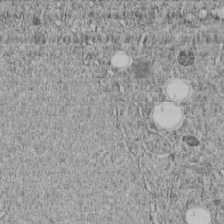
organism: C. elegans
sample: C. elegans embryo early stage